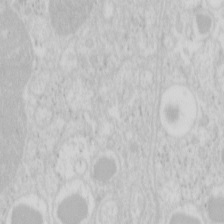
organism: Mouse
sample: Pancreas